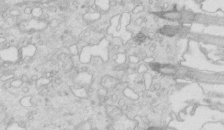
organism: Mouse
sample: Multiciliated cells